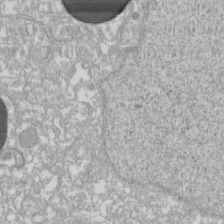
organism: Xenopus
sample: Cilia; centrioles in frog embryo cells